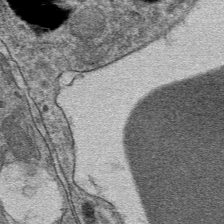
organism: Mouse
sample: Mouse hepatocytes